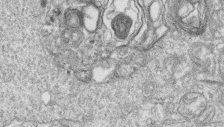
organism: Human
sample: HeLa cell HIV synapse